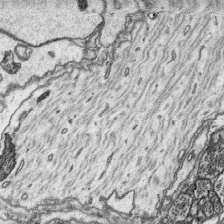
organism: Platynereis dumerilii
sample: Parapodia